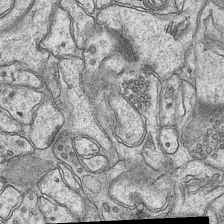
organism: Mouse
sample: CA1 Hippocampus